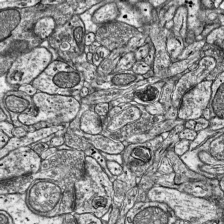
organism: Mouse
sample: Visual Cortex